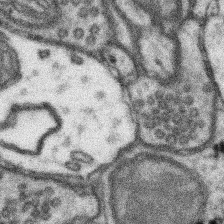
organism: Mouse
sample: Somatosensory cortex neuropil